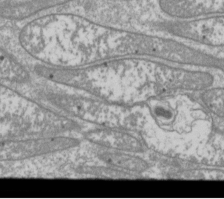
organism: Drosophila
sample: Cell division; meiosis; drosophila spermatocytes